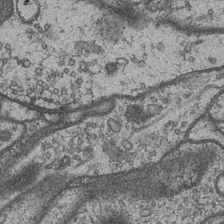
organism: Drosophila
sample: Optic medulla